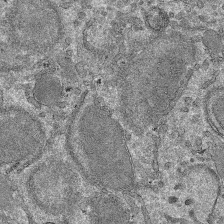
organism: Mouse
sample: Mouse hepatocytes